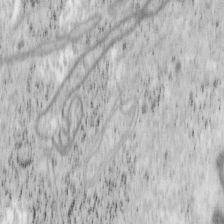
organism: Human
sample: HeLa cells